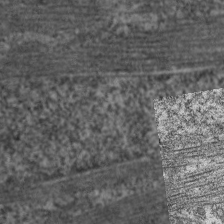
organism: C. elegans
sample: Pharynx